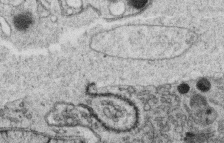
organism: C. elegans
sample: C. elegans oocyte; sperm cells